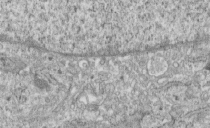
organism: Human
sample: Centriole in fibroblast cells